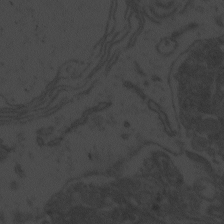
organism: Zebrafish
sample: Macrophage infected with Toxoplasma gondii